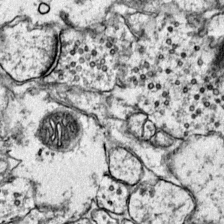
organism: Mouse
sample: Primary visual cortex